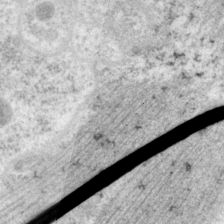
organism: P. pacificus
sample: Pharynx